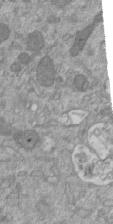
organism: Mouse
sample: ED-1 cell nuclei; centrioles